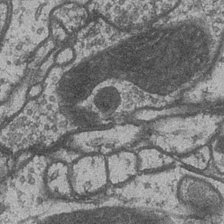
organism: Drosophila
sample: Optic medulla